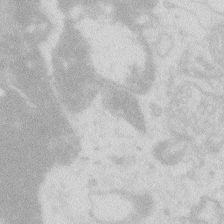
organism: Zebrafish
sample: Macrophage